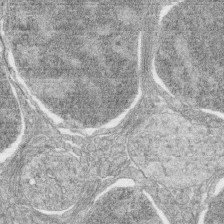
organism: Zebrafish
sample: synaptic ribbons in rod cells and cone cells